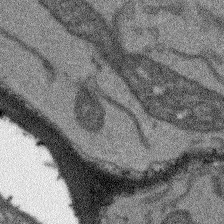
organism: Arabidopsis thaliana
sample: Root tip